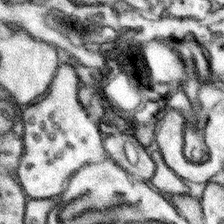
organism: Mouse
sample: Somatosensory cortex neuropil